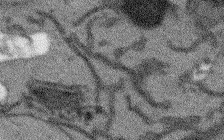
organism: Arabidopsis thaliana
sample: Root tip